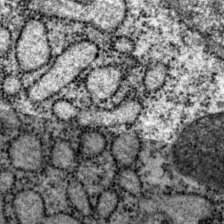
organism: P. pacificus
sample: Pharynx